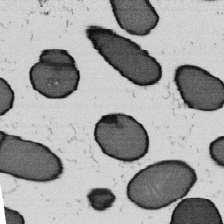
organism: B. subtilis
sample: Bacterial spore